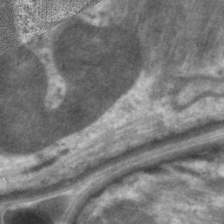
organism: C. elegans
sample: Pharynx